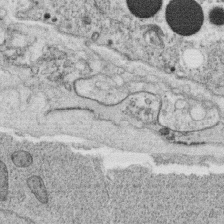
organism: C. elegans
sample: C. elegans oocyte; sperm cells